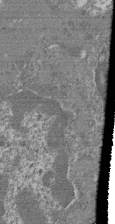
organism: Mouse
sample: Glomerulus